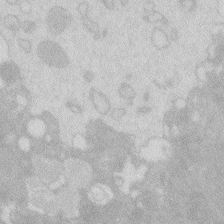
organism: Zebrafish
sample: Macrophage